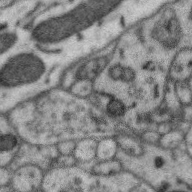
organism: Zebra finch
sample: Brain